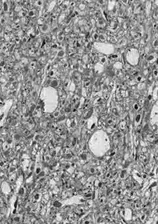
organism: Drosophila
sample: Optic lobe